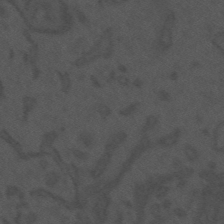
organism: Mouse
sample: Suprachiasmatic nucleus